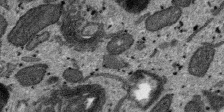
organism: Human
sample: Lung epithelial cells, uninfected (mock) control